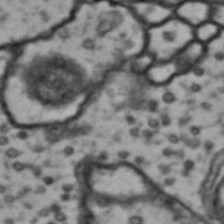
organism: Drosophila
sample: Brain